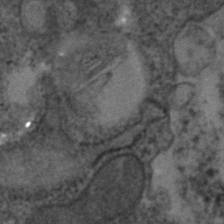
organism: Human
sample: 1205lu cells